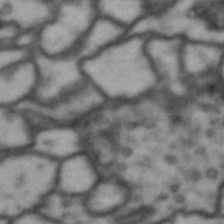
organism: Drosophila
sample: Brain